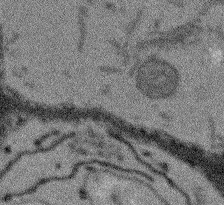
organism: Arabidopsis thaliana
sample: Root tip